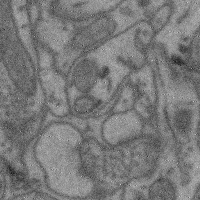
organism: Mouse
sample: Cerebral cortex